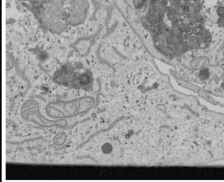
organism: Human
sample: Mitochondria in U2OS cells